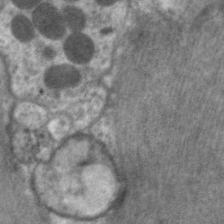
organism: C. elegans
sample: Pharynx